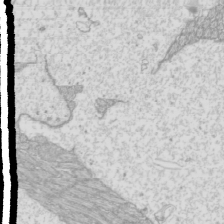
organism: Mouse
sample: Cilia; mouse epididymis